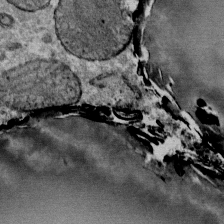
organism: Mouse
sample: Mouse Salivary gland